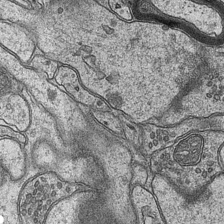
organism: Mouse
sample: CA1 Hippocampus